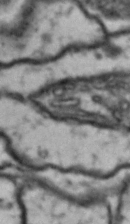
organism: Drosophila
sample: Brain